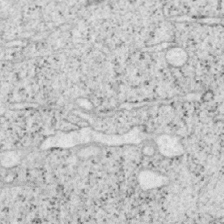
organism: Mouse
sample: OT-I killer T cells with ID8 ovarian cancer cells